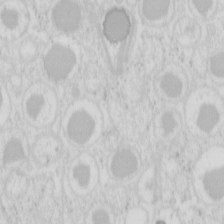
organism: Mouse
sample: Pancreas